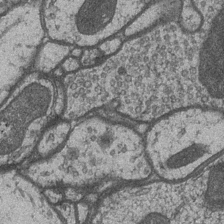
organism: Drosophila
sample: Optic medulla